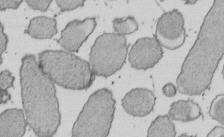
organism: E. coli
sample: Bacterial nucleoid